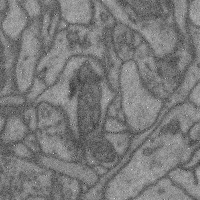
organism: Mouse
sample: Cerebral cortex